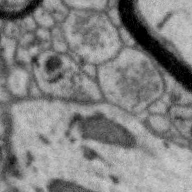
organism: Zebra finch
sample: Brain